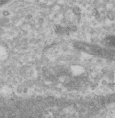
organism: Human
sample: Centriole in RPE cells